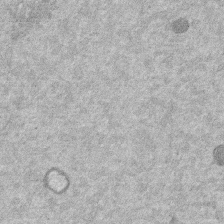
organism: Mouse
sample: Dividing mouse embryo 1 cell stage